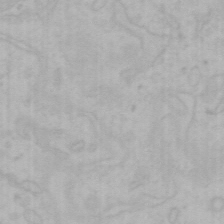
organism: Mouse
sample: Choroid plexus